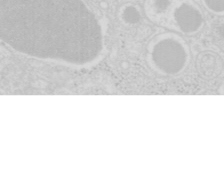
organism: Mouse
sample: Pancreas